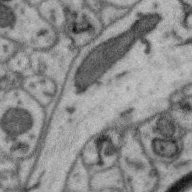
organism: Zebra finch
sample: Brain